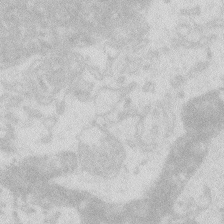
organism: Zebrafish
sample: Macrophage